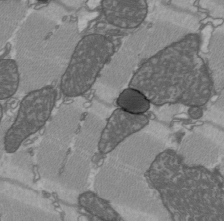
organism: C57BL Mouse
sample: Heart